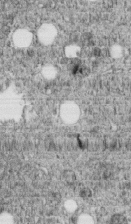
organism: C. elegans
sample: C. elegans embryo early stage